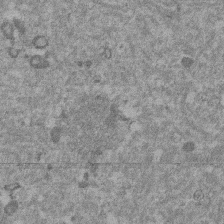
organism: Mouse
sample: Dividing mouse embryo 1 cell stage